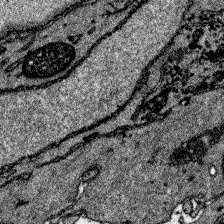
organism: Zebrafish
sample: Larval olfactory bulb